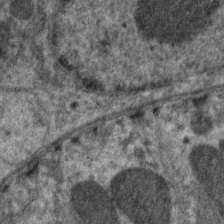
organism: C. elegans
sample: Pharynx